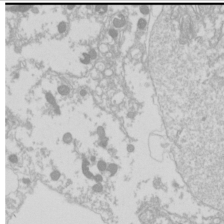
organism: Drosophila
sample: Cell division; meiosis; drosophila spermatocytes